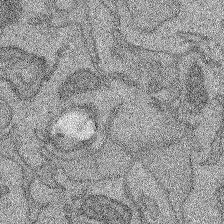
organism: Human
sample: HeLa cells